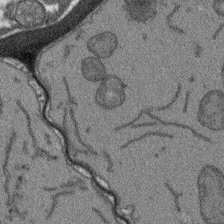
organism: Arabidopsis thaliana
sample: Root tip